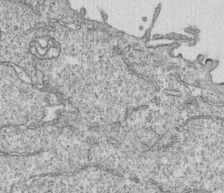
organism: Human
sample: HeLa cell HIV synapse